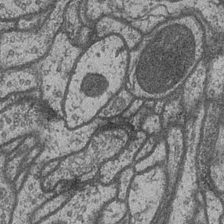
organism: Drosophila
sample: Optic medulla